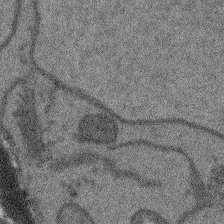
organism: Arabidopsis thaliana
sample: Root tip